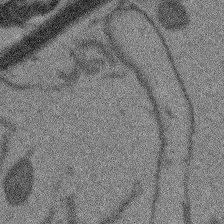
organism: Arabidopsis thaliana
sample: Root tip